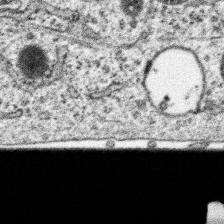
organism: Human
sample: HeLa cells